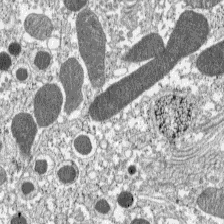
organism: C57BL Mouse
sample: Pancreatic islet